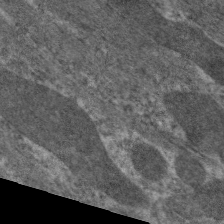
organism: C. elegans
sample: Pharynx